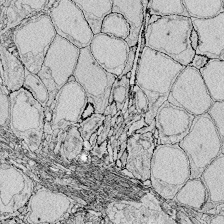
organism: Zebrafish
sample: Whole-Brain